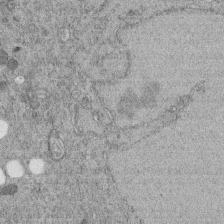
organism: C. elegans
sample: C. elegans embryo early stage